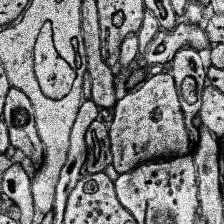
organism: Human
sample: Temporal Lobe